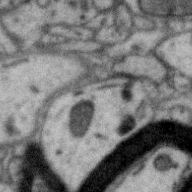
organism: Zebra finch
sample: Brain